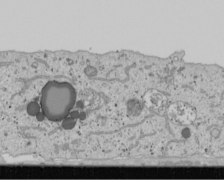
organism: Human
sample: Mitochondria in U2OS cells